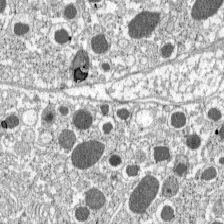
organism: C57BL Mouse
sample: Pancreatic islet